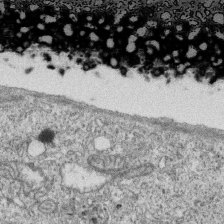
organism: Human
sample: HeLa cell HIV synapse